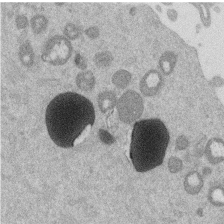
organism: Mouse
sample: Dividing mouse embryo 1 cell stage